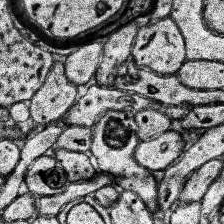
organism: Human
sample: Temporal Lobe